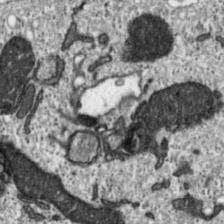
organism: Toxoplasma gondii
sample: Parasites in a vacuole inside a host cell